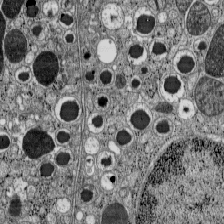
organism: C57BL Mouse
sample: Pancreatic islet